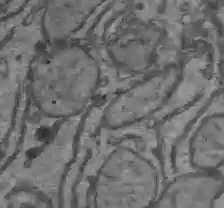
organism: C57BL Mouse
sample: Liver